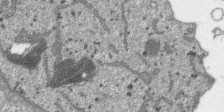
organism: Human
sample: Lung epithelial cells infected with SARS-CoV-2